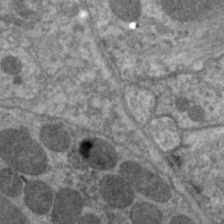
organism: C. elegans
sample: Pharynx